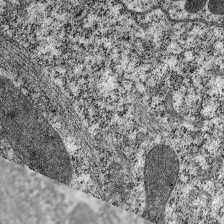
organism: C. elegans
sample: Pharynx